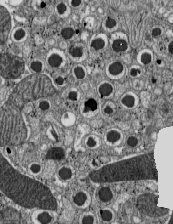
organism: C57BL Mouse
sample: Pancreatic islet